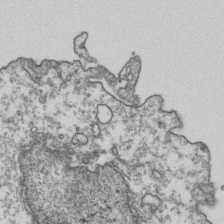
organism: Human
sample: Activated Jurkat CD4+ T cells